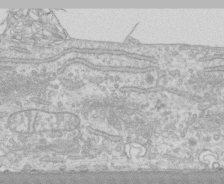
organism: Human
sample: CRL-1474